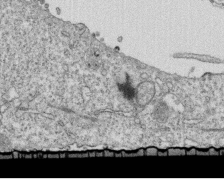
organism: Human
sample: HeLa cell HIV synapse